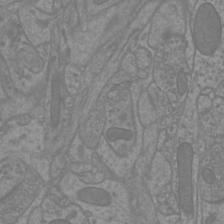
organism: Mouse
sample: Cortical neurons